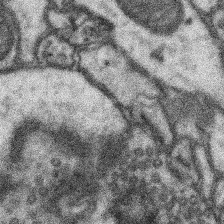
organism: Mouse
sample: Somatosensory cortex neuropil